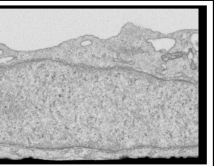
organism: Human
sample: Centriole in RPE cells